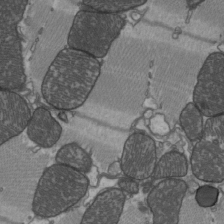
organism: C57BL Mouse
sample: Heart